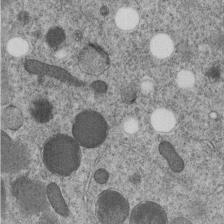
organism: C. elegans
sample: C. elegans embryo early stage